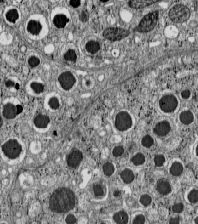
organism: C57BL Mouse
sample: Pancreatic islet